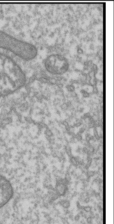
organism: Drosophila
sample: Cell division; meiosis; drosophila spermatocytes